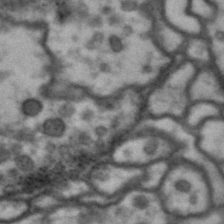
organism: Drosophila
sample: Brain